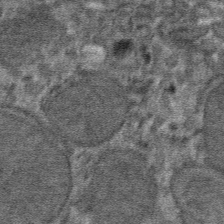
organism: Mouse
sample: Mouse hepatocytes